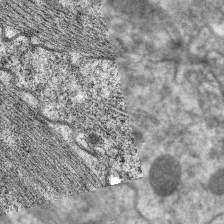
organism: C. elegans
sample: Pharynx